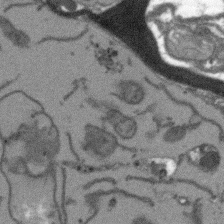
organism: Arabidopsis thaliana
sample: Root tip